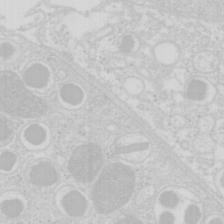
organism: Mouse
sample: Pancreas